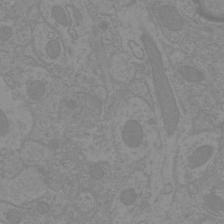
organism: Mouse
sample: Cortical neurons